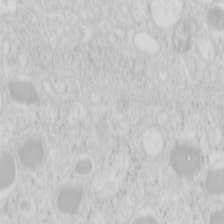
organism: Mouse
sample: Pancreas